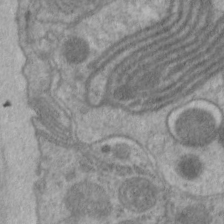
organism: C. elegans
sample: Pharynx